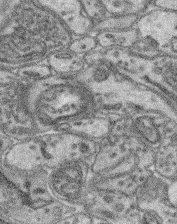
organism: Mouse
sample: Retina